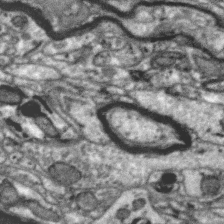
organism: Zebra finch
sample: Brain